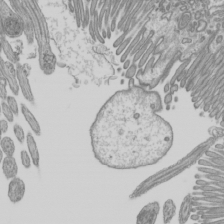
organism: Mouse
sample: Cilia; mouse epididymis